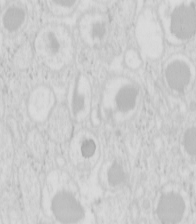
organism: Mouse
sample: Pancreas